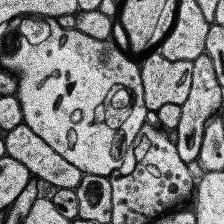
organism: Human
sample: Temporal Lobe